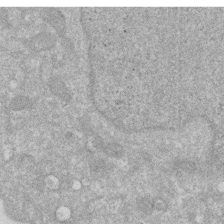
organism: Human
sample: HIV infected U937 cells